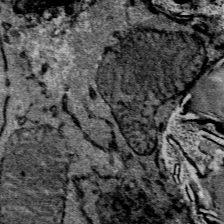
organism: Mouse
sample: Mouse Salivary gland